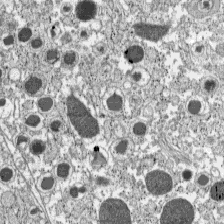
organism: C57BL Mouse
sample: Pancreatic islet